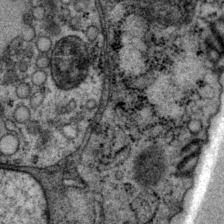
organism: P. pacificus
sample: Pharynx